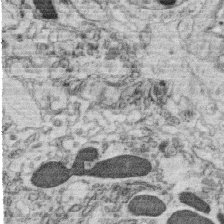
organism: C. elegans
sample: C. elegans oocyte; sperm cells